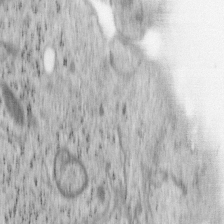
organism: Human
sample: HeLa cells